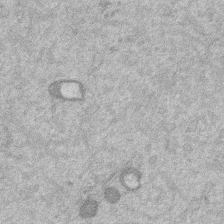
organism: Mouse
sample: Dividing mouse embryo 1 cell stage